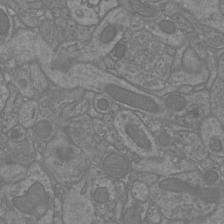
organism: Mouse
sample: Cortical neurons